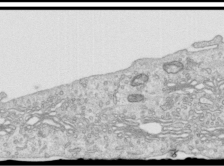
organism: Human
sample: Centriole in RPE cells